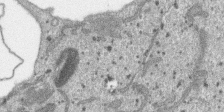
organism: Human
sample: Lung epithelial cells infected with SARS-CoV-2